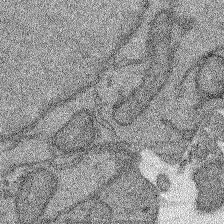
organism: Human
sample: HeLa cells